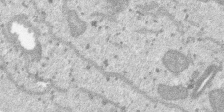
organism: Human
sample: Lung epithelial cells infected with SARS-CoV-2